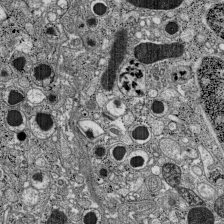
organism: C57BL Mouse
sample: Pancreatic islet